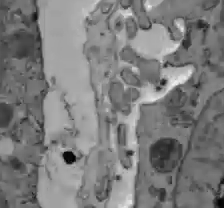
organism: C57BL Mouse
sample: Liver